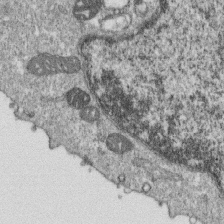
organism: African green monkey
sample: Vero E6 cells infected with SARS-CoV-2